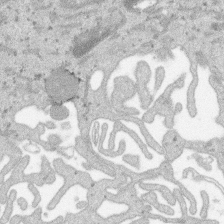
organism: Human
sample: Lung epithelial cells infected with SARS-CoV-2